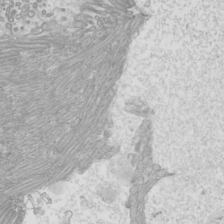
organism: Mouse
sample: Cilia; mouse epididymis